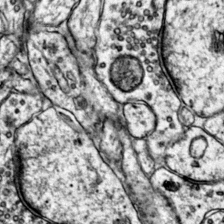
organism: Mouse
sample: Primary visual cortex